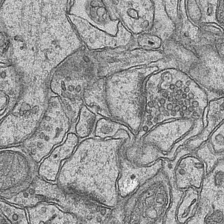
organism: Mouse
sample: CA1 Hippocampus